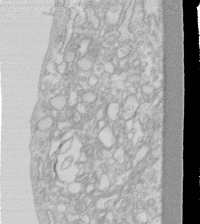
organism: Human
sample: Fibroblast cells